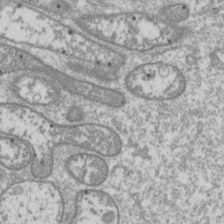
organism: Drosophila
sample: Cell division; meiosis; drosophila spermatocytes